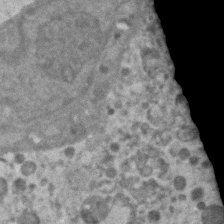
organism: Human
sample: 1205lu cells